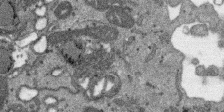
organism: Human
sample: Lung epithelial cells infected with SARS-CoV-2